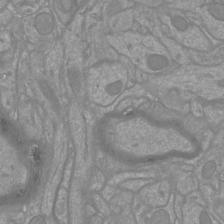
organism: Mouse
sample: Cortical neurons